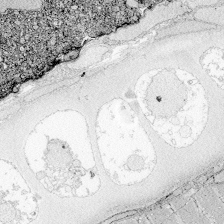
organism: Zebrafish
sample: Whole-Brain